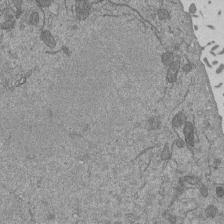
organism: Mouse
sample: ED-1 cell nuclei; centrioles